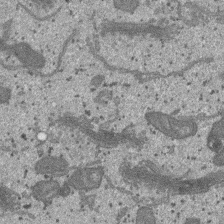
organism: Human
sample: Lung epithelial cells infected with SARS-CoV-2